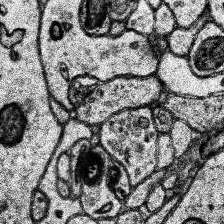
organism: Human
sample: Temporal Lobe